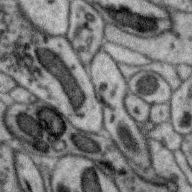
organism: Zebra finch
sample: Brain